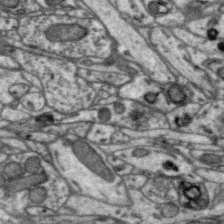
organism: Zebra finch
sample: Brain